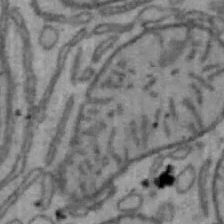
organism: Mouse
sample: Liver